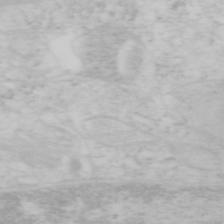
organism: Mouse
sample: OT-I killer T cells with ID8 ovarian cancer cells